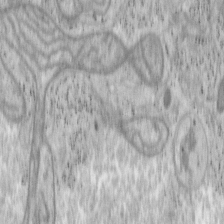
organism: Human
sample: HeLa cells